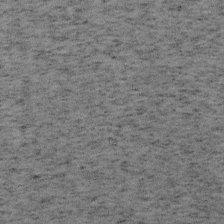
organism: Mouse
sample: OT-I killer T cells with ID8 ovarian cancer cells